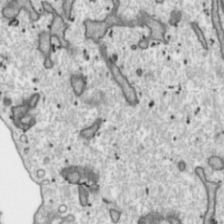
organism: Toxoplasma gondii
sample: Parasites in a vacuole inside a host cell